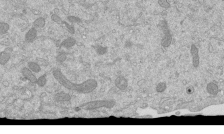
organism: Mouse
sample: ED-1 cell nuclei; centrioles